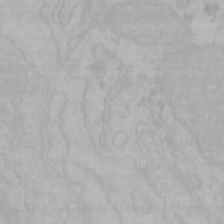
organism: Mouse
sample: Choroid plexus